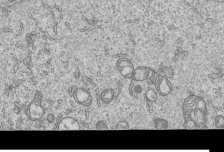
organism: Human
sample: MDA-MB-231 cells